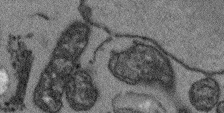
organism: Arabidopsis thaliana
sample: Root tip